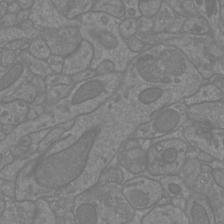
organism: Mouse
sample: Cortical neurons